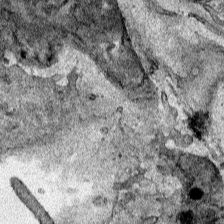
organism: Human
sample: Mitochondria in HCT116 cells